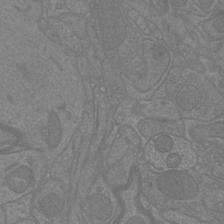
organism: Mouse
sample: Cortical neurons